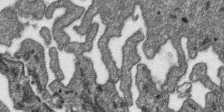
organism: Human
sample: Lung epithelial cells infected with SARS-CoV-2